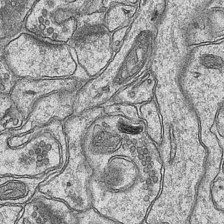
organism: Mouse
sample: CA1 Hippocampus